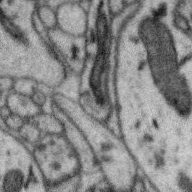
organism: Zebra finch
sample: Brain